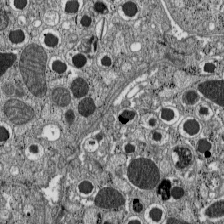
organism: C57BL Mouse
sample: Pancreatic islet